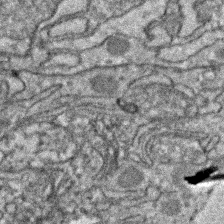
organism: Zebrafish